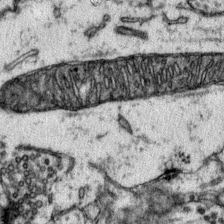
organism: Mouse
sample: Primary visual cortex